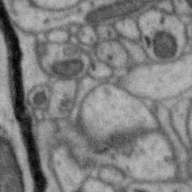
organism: Zebra finch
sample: Brain